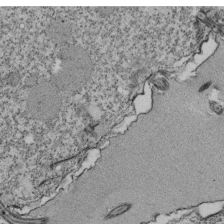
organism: Tetrahymena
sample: Cilia in tetrahymena